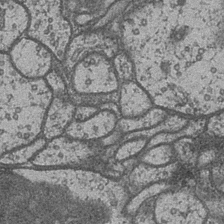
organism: Drosophila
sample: Optic medulla